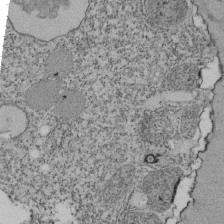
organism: Tetrahymena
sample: Cilia in tetrahymena